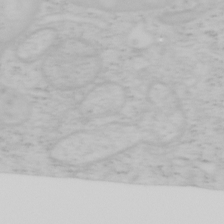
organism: Mouse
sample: OT-I killer T cells with ID8 ovarian cancer cells